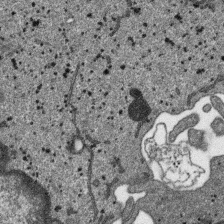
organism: Human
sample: Lung epithelial cells infected with SARS-CoV-2